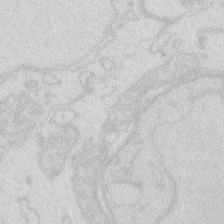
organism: Zebrafish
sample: Macrophage